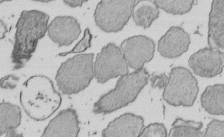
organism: E. coli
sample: Bacterial nucleoid